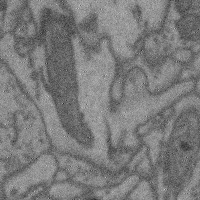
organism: Mouse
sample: Cerebral cortex